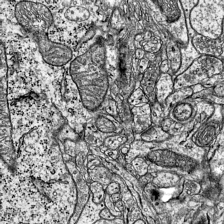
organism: Mouse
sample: Visual Cortex